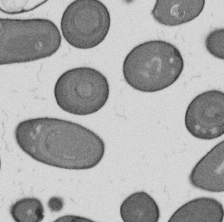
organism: B. subtilis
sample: Bacterial spore